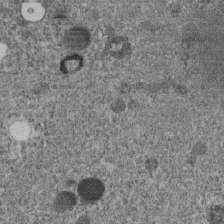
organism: C. elegans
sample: C. elegans embryo early stage